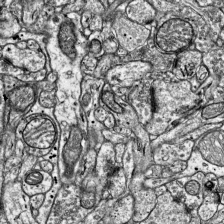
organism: Mouse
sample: Visual Cortex